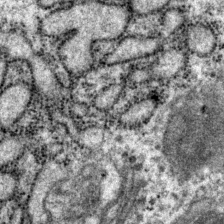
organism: P. pacificus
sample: Pharynx